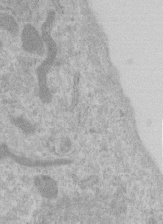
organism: Human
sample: Centriole in RPE cells